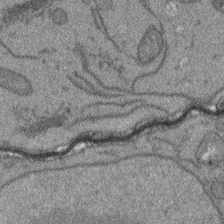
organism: Arabidopsis thaliana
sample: Root tip